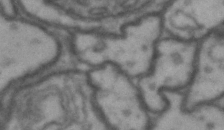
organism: Drosophila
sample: Brain